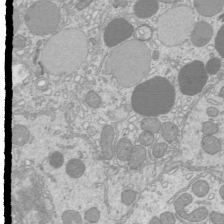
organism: Mouse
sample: Cilia; mouse epididymis